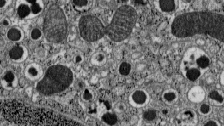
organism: C57BL Mouse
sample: Pancreatic islet